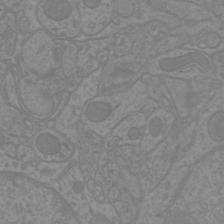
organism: Mouse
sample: Cortical neurons